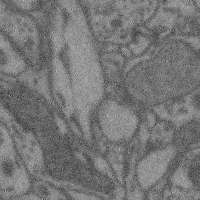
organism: Mouse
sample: Cerebral cortex